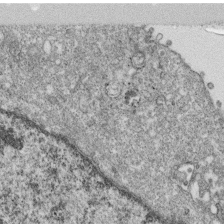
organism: African green monkey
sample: Vero E6 cells infected with SARS-CoV-2